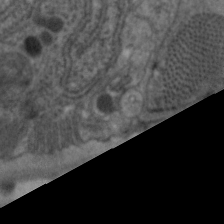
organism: C. elegans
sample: Pharynx